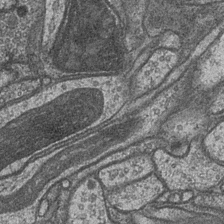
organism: Drosophila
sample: Optic medulla